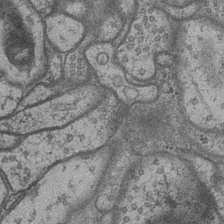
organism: Drosophila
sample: Optic medulla